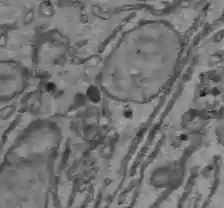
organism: C57BL Mouse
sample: Liver